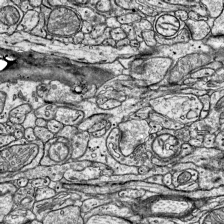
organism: Mouse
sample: Visual Cortex